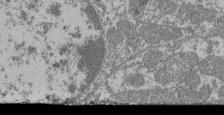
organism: Mouse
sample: Glomerulus